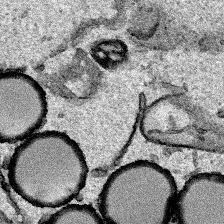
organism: Human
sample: Mitochondria in HCT116 cells